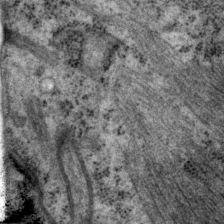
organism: P. pacificus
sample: Pharynx